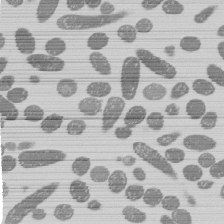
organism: E. coli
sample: Bacterial nucleoid